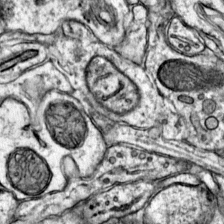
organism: Mouse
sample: Primary visual cortex